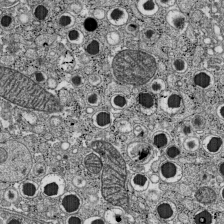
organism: C57BL Mouse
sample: Pancreatic islet